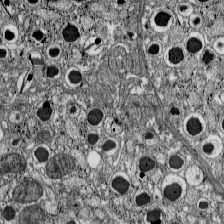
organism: C57BL Mouse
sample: Pancreatic islet